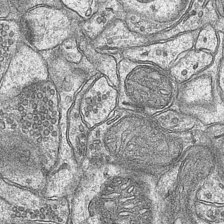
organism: Mouse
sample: CA1 Hippocampus